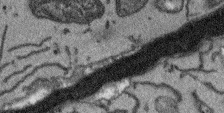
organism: Arabidopsis thaliana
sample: Root tip